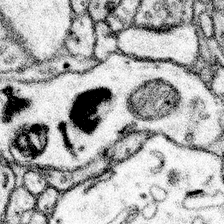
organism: Mouse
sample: Somatosensory cortex neuropil